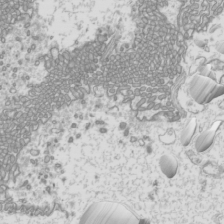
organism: Mouse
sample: Cilia; mouse epididymis